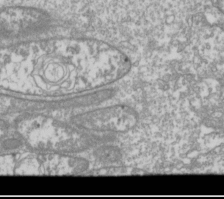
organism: Drosophila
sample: Cell division; meiosis; drosophila spermatocytes